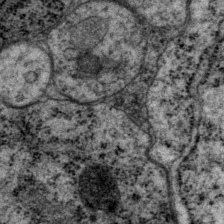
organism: P. pacificus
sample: Pharynx